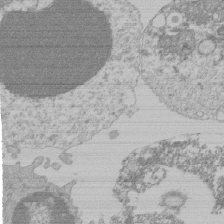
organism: Mouse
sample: Activated Pmel transgenic CD8+ T Cells